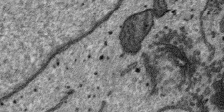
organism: Human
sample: Lung epithelial cells, uninfected (mock) control